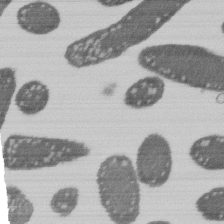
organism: E. coli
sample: Bacterial nucleoid